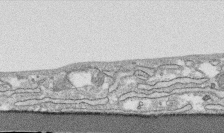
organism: Human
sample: CRL-1474